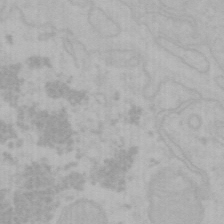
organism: Mouse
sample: Choroid plexus